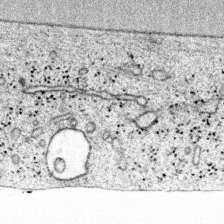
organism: Human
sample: HeLa cells